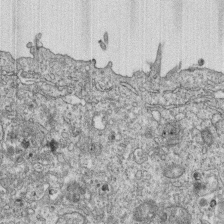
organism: Human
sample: HeLa cell HIV synapse